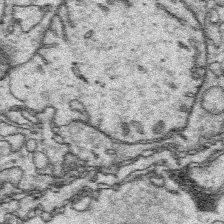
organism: Platynereis dumerilii